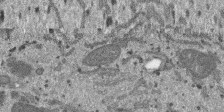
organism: Human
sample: Lung epithelial cells infected with SARS-CoV-2